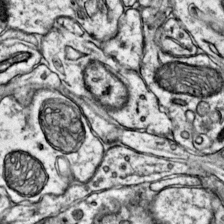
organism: Mouse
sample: Primary visual cortex